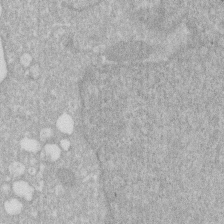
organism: Human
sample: HIV infected U937 cells